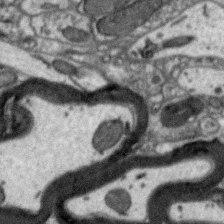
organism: Zebra finch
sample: Brain